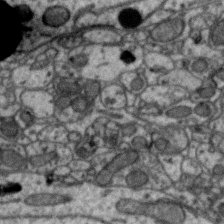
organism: Zebra finch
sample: Brain